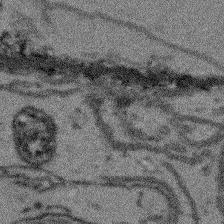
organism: Arabidopsis thaliana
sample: Root tip